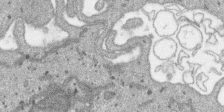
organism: Human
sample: Lung epithelial cells infected with SARS-CoV-2